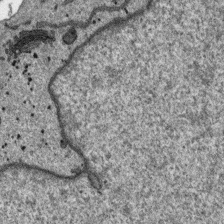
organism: Human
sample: Lung epithelial cells, uninfected (mock) control